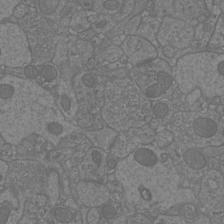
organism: Mouse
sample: Cortical neurons